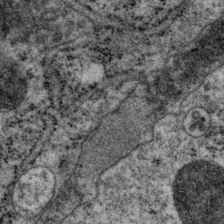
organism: P. pacificus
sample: Pharynx